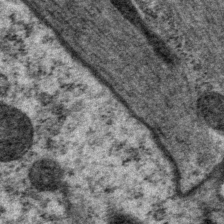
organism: P. pacificus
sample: Pharynx